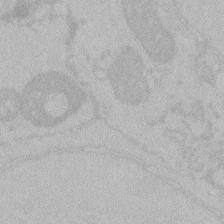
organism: Zebrafish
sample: Macrophage infected with Toxoplasma gondii